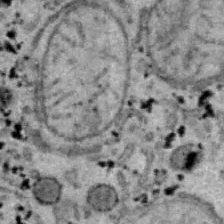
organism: Mouse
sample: Liver from an obese (ob/ob) mouse